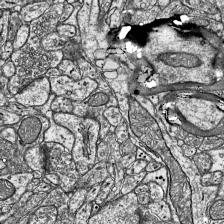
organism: Mouse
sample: Visual Cortex